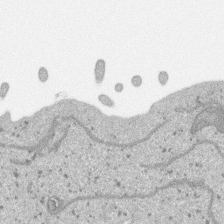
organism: Human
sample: Lung epithelial cells infected with SARS-CoV-2